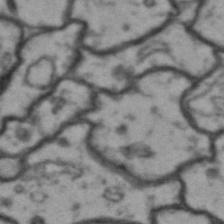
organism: Drosophila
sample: Brain